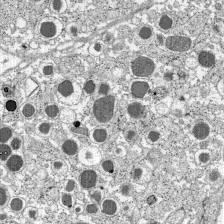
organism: C57BL Mouse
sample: Pancreatic islet